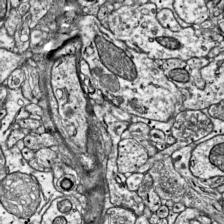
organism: Mouse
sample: Visual Cortex